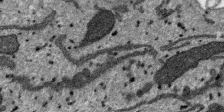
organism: Human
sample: Lung epithelial cells, uninfected (mock) control